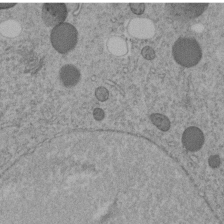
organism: C. elegans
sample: C. elegans embryo early stage